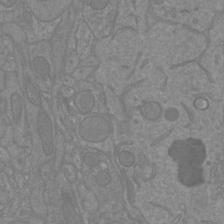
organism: Mouse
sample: Cortical neurons